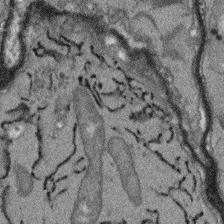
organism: Arabidopsis thaliana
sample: Root tip